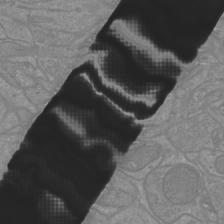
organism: Mouse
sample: Cortical neurons